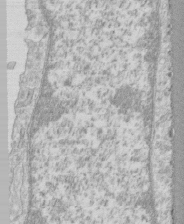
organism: Human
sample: CRL-1474